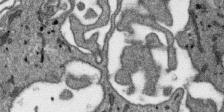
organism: Human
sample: Lung epithelial cells, uninfected (mock) control